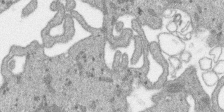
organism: Human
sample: Lung epithelial cells infected with SARS-CoV-2